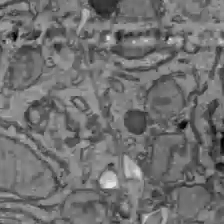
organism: C57BL Mouse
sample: Liver